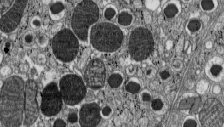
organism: C57BL Mouse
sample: Pancreatic islet